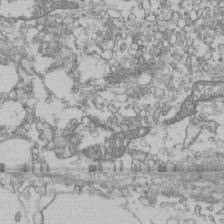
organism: Human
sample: Fibroblast cells